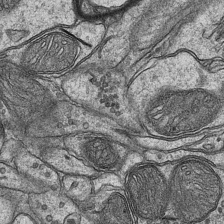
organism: Mouse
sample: CA1 Hippocampus